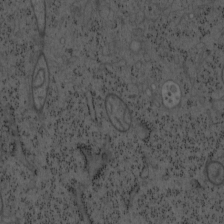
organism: Mouse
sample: OT-I killer T cells with ID8 ovarian cancer cells